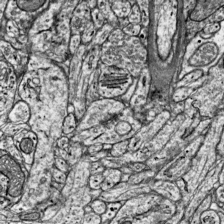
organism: Mouse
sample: Visual Cortex